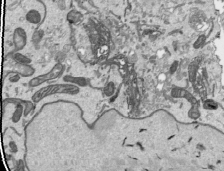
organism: Human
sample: Mitochondria in HCT116 cells